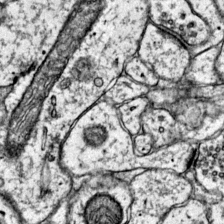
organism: Mouse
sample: Primary visual cortex